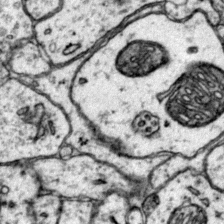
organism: Mouse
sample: Primary visual cortex